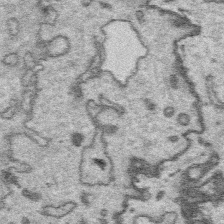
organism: Platynereis dumerilii